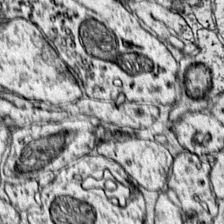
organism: Mouse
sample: Primary visual cortex